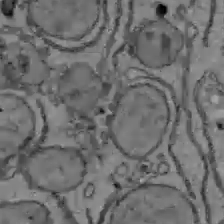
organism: C57BL Mouse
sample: Liver